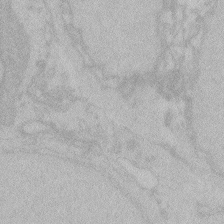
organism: Zebrafish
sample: Macrophage infected with Toxoplasma gondii